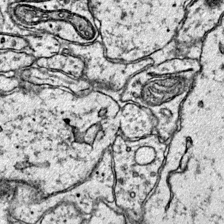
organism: Mouse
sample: Primary visual cortex